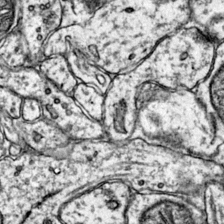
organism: Mouse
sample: Primary visual cortex